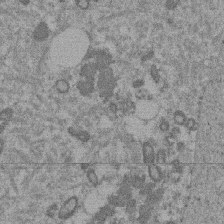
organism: Mouse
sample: Dividing mouse embryo 1 cell stage